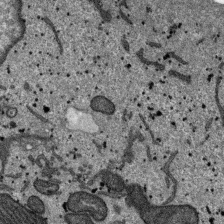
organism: Human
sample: Lung epithelial cells, uninfected (mock) control